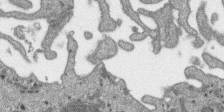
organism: Human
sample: Lung epithelial cells infected with SARS-CoV-2